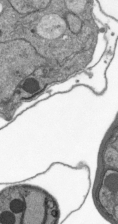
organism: Plasmodium falciparum